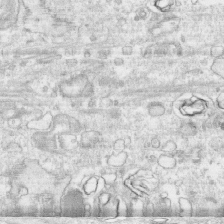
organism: Human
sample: CRL-1474